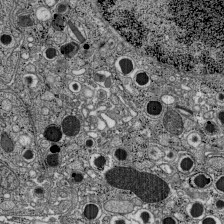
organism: C57BL Mouse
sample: Pancreatic islet